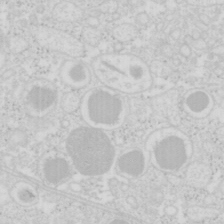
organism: Mouse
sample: Pancreas